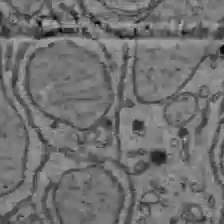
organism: C57BL Mouse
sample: Liver